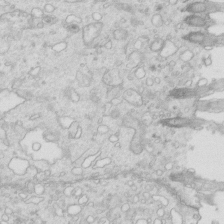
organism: Mouse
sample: Multiciliated cells